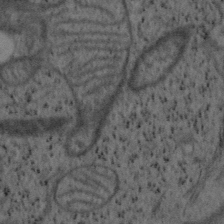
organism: Human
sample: HeLa cells